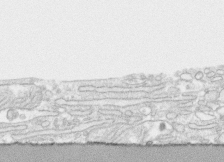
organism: Human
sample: CRL-1474